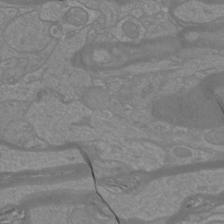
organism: Mouse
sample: Cortical neurons